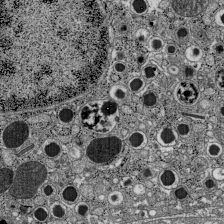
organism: C57BL Mouse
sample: Pancreatic islet